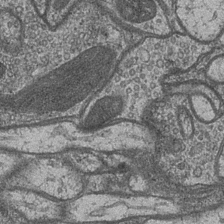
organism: Drosophila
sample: Optic medulla